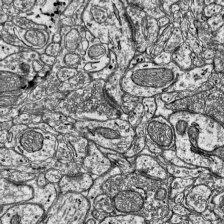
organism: Mouse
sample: Visual Cortex